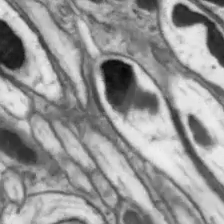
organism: Drosophila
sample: Optic lobe